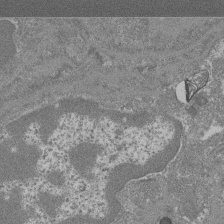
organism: Mouse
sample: Glomerulus